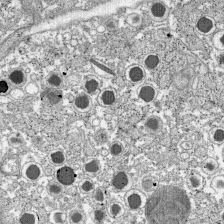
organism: C57BL Mouse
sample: Pancreatic islet